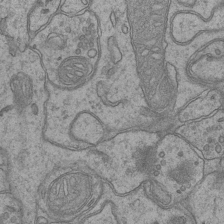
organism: Mouse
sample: CA1 Hippocampus